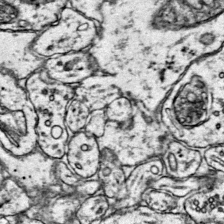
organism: Mouse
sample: Primary visual cortex